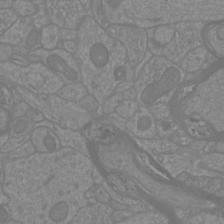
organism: Mouse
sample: Cortical neurons